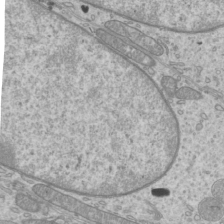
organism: Mouse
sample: Cilia; mouse epididymis